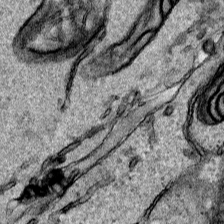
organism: Human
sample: Mitochondria in HCT116 cells